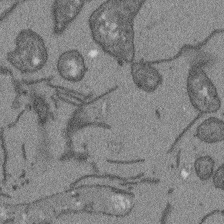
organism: Arabidopsis thaliana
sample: Root tip